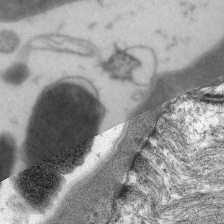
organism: C. elegans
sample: Pharynx